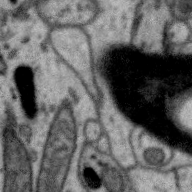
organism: Zebra finch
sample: Brain